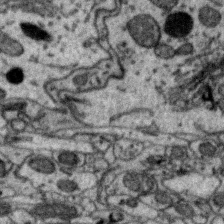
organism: Zebra finch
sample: Brain